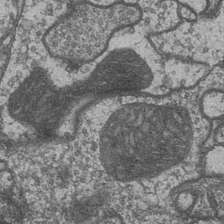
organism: Drosophila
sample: Optic medulla